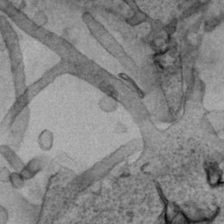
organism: Human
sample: Mitochondria in HCT116 cells